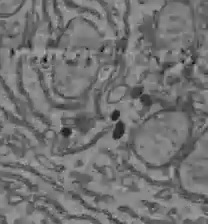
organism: C57BL Mouse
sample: Liver